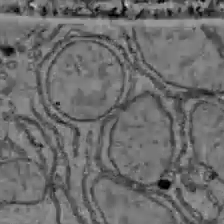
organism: C57BL Mouse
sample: Liver